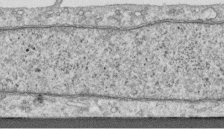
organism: Human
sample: Centriole in RPE cells